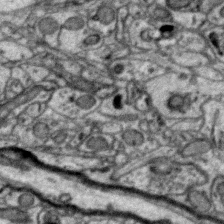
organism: Zebra finch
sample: Brain